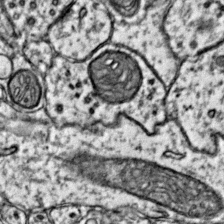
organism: Mouse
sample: Primary visual cortex